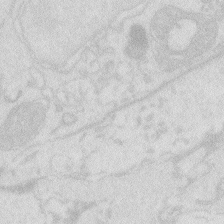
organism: Zebrafish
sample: Macrophage